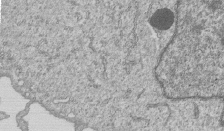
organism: Human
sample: MDA-MB-231 cells